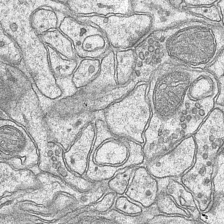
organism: Mouse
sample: CA1 Hippocampus